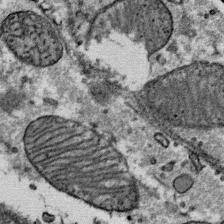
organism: Mouse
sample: Mouse Salivary gland